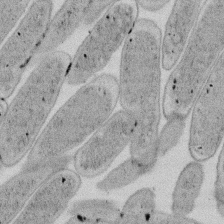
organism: E. coli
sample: Bacterial nucleoid